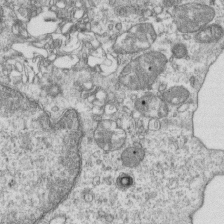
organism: Mouse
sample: Activated OT-1 CD8+ T cells